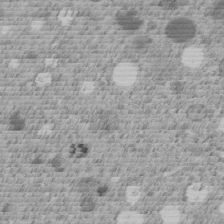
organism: C. elegans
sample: C. elegans embryo early stage